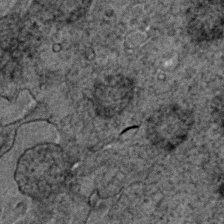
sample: Trachea